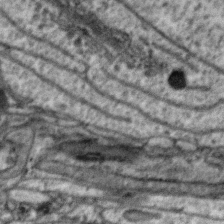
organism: Zebra finch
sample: Brain